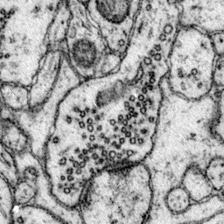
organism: Mouse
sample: Primary visual cortex